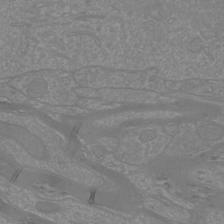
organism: Mouse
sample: Cortical neurons